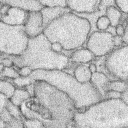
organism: Rabbit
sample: Retina